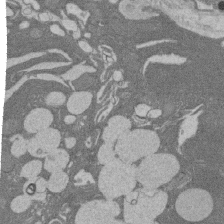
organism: Rat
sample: Salivary granule